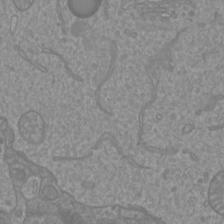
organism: Mouse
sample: Cortical neurons